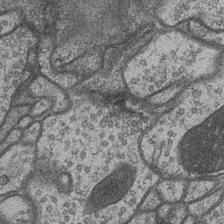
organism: Drosophila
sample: Optic medulla